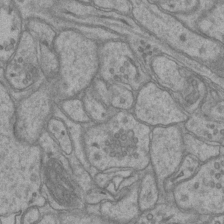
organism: Mouse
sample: CA1 Hippocampus